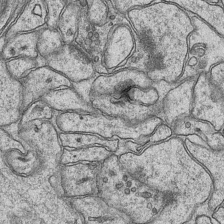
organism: Mouse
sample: CA1 Hippocampus